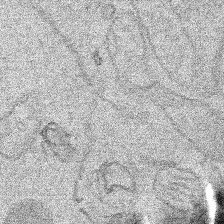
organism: Human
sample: Mitochondria in HCT116 cells